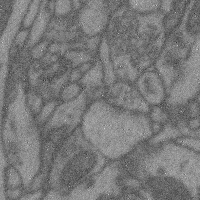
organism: Mouse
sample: Cerebral cortex